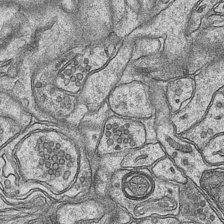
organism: Mouse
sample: CA1 Hippocampus